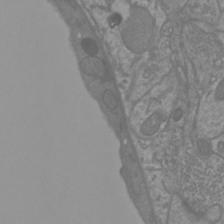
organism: Mouse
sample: Cortical neurons